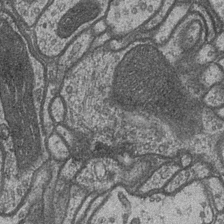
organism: Drosophila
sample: Optic medulla